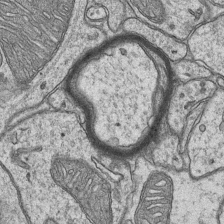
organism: Mouse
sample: CA1 Hippocampus